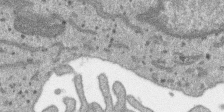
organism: Human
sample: Lung epithelial cells infected with SARS-CoV-2